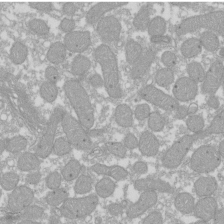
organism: Xenopus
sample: Cilia; centrioles in frog embryo cells